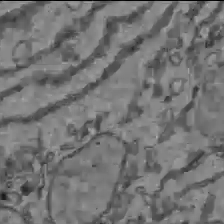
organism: C57BL Mouse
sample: Liver